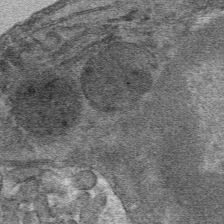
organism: Mouse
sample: Mouse hepatocytes